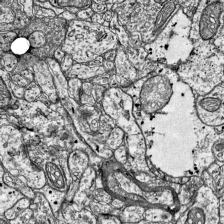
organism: Mouse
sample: Visual Cortex